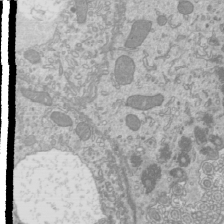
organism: Mouse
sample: Cilia; mouse epididymis